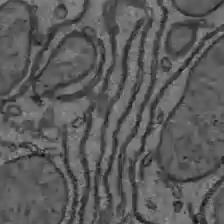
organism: C57BL Mouse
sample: Liver